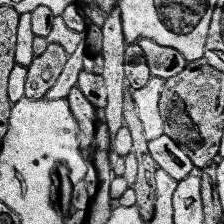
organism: Human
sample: Temporal Lobe